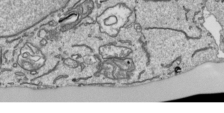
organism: Human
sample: Mitochondria in HCT116 cells